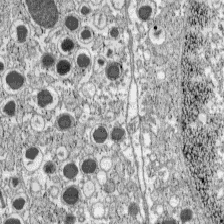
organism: C57BL Mouse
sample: Pancreatic islet